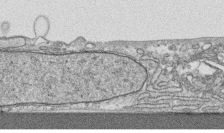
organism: Human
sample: CRL-1474